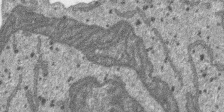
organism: Human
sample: Lung epithelial cells infected with SARS-CoV-2